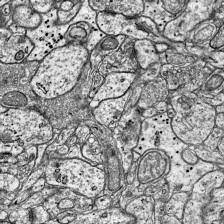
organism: Mouse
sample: Visual Cortex